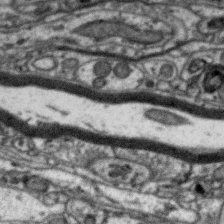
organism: Zebra finch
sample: Brain